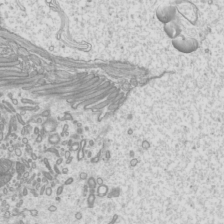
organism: Mouse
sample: Cilia; mouse epididymis